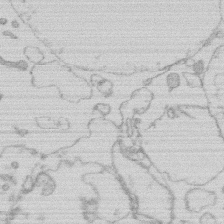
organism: Human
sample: Macrophage cells